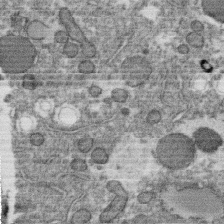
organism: C. elegans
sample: C. elegans oocyte; sperm cells